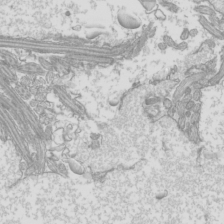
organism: Mouse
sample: Cilia; mouse epididymis